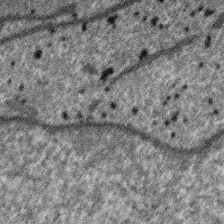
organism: Human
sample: Lung epithelial cells infected with SARS-CoV-2